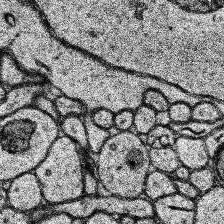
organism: Human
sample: Temporal Lobe